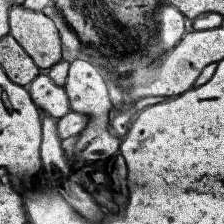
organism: Human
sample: Temporal Lobe